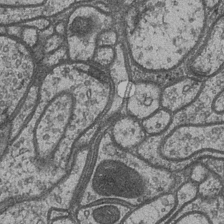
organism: Drosophila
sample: Optic medulla